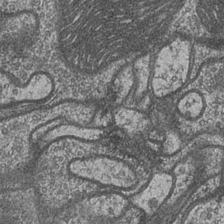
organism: Drosophila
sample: Optic medulla